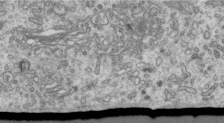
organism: Human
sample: Centriole in RPE cells